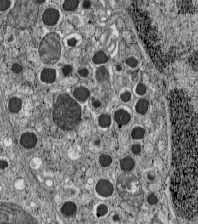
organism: C57BL Mouse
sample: Pancreatic islet